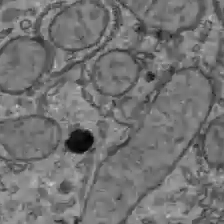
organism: C57BL Mouse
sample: Liver